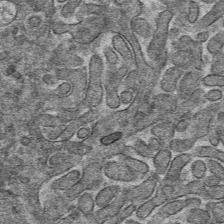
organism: Mouse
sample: Mouse hepatocytes